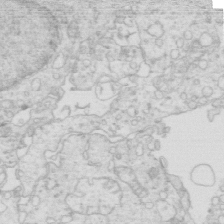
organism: Mouse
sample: Multiciliated cells